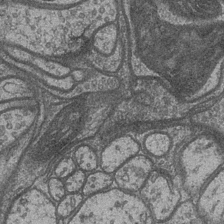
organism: Drosophila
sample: Optic medulla